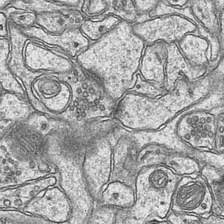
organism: Mouse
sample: CA1 Hippocampus